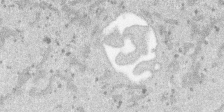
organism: Human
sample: Lung epithelial cells infected with SARS-CoV-2